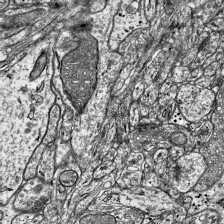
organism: Mouse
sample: Visual Cortex